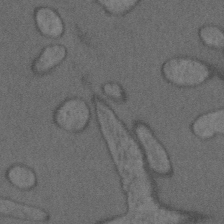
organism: Human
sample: HeLa cells